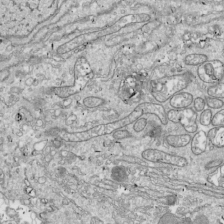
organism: Drosophila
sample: Cell division; meiosis; drosophila spermatocytes